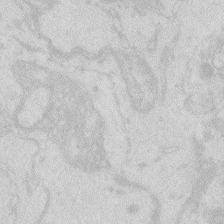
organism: Zebrafish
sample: Macrophage